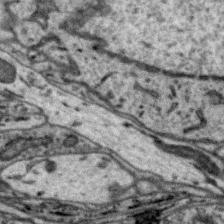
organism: Zebra finch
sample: Brain